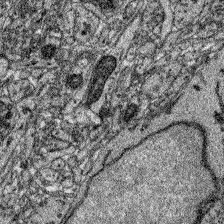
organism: Zebrafish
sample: Larval olfactory bulb